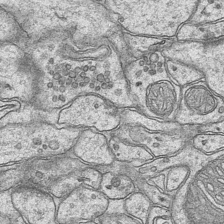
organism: Mouse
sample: CA1 Hippocampus